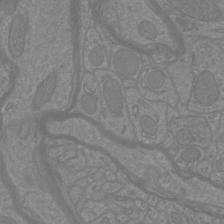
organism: Mouse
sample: Cortical neurons